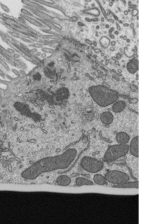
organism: Mouse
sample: Mouse epididymis efferent ductule cilia